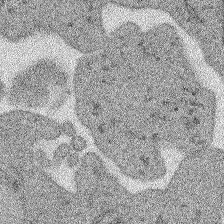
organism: Human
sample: HeLa cells